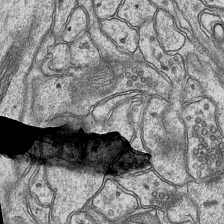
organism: Mouse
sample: CA1 Hippocampus